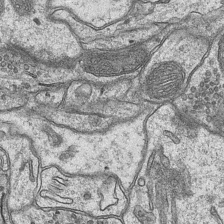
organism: Mouse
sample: CA1 Hippocampus